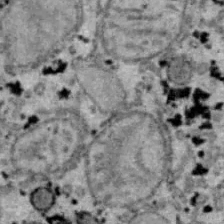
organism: Mouse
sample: Liver from an obese (ob/ob) mouse